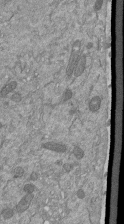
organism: Mouse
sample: ED-1 cell nuclei; centrioles